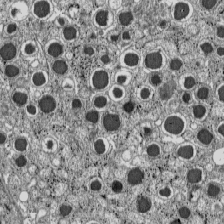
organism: C57BL Mouse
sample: Pancreatic islet